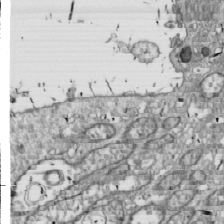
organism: Drosophila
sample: Cell division; meiosis; drosophila spermatocytes